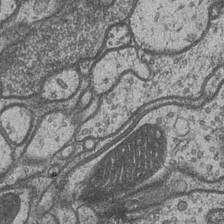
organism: Drosophila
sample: Optic medulla